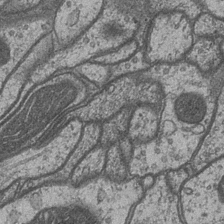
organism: Drosophila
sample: Optic medulla